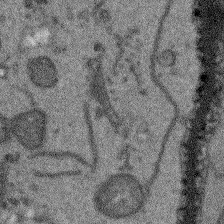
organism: Arabidopsis thaliana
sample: Root tip